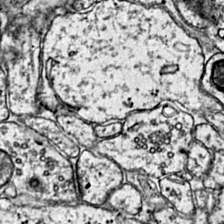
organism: Mouse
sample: Primary visual cortex